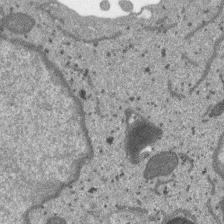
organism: Human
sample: Lung epithelial cells infected with SARS-CoV-2